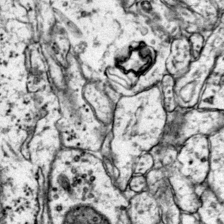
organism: Mouse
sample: Primary visual cortex